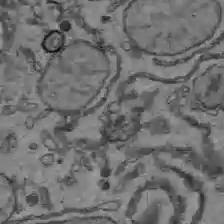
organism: C57BL Mouse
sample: Liver